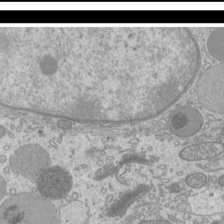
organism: Mouse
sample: Cilia; mouse epididymis